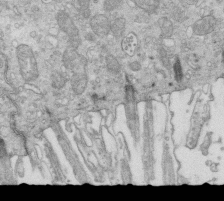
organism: Mouse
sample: Multiciliated cells